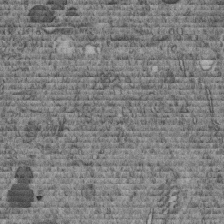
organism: C. elegans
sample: C. elegans embryo early stage